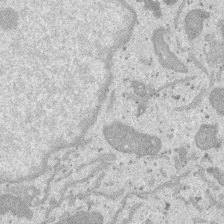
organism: Human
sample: Lung epithelial cells infected with SARS-CoV-2